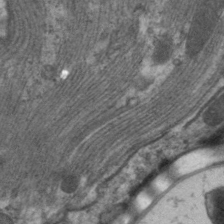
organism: C. elegans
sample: Pharynx